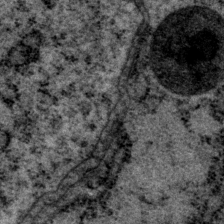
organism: P. pacificus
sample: Pharynx